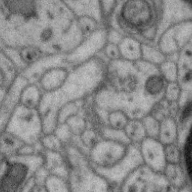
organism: Zebra finch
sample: Brain